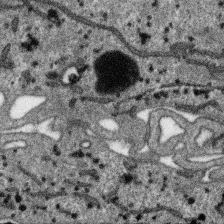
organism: Human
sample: Lung epithelial cells infected with SARS-CoV-2